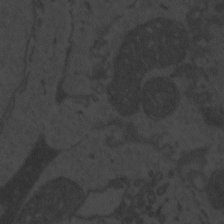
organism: Zebrafish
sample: Macrophage infected with Toxoplasma gondii